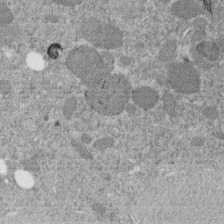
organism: C. elegans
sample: C. elegans embryo early stage